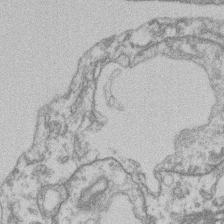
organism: Mouse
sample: T cell stromal cell synapse